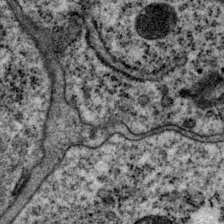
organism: P. pacificus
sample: Pharynx